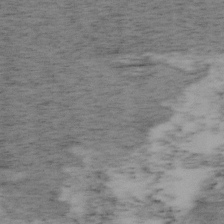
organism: Mouse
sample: OT-I killer T cells with ID8 ovarian cancer cells